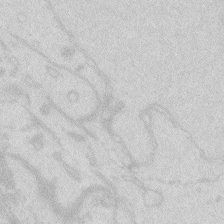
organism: Zebrafish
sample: Macrophage